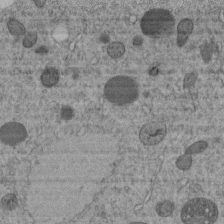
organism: C. elegans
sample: C. elegans embryo early stage